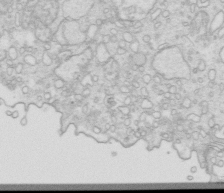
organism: Mouse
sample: Multiciliated cells